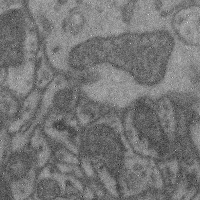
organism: Mouse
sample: Cerebral cortex